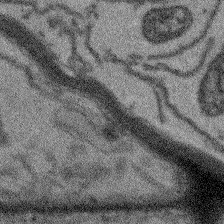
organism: Arabidopsis thaliana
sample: Root tip